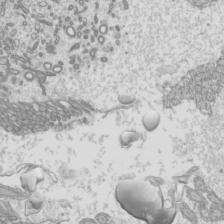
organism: Mouse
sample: Cilia; mouse epididymis